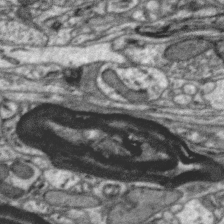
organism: Zebra finch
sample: Brain